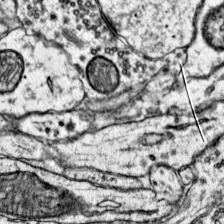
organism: Mouse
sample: Primary visual cortex